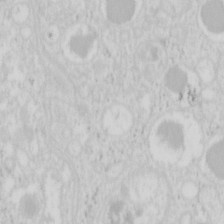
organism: Mouse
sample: Pancreas